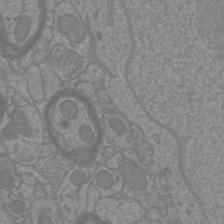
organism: Mouse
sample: Cortical neurons